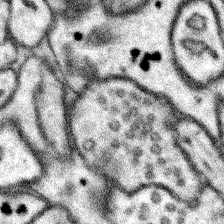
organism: Mouse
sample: Somatosensory cortex neuropil